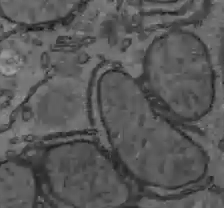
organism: C57BL Mouse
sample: Liver